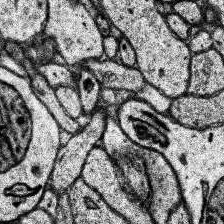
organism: Human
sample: Temporal Lobe